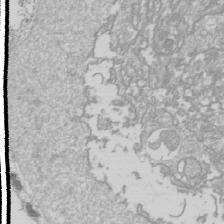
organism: Drosophila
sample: Cell division; meiosis; drosophila spermatocytes